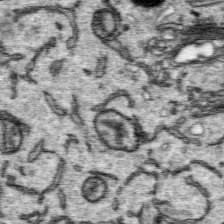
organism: Human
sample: HeLa cells